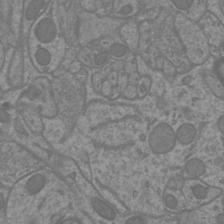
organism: Mouse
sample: Cortical neurons